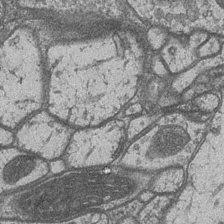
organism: Drosophila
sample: Optic medulla